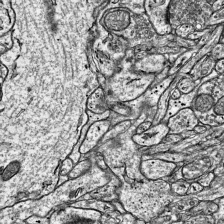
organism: Mouse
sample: Visual Cortex